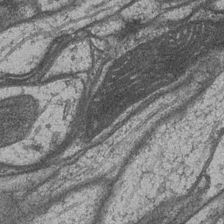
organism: Drosophila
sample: Optic medulla